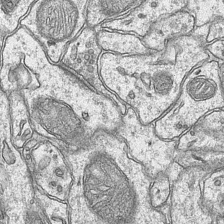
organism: Mouse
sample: CA1 Hippocampus